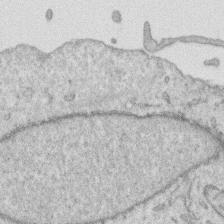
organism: Human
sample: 1205lu cells